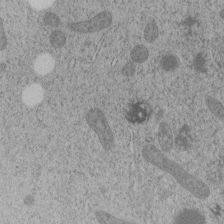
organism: C. elegans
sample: C. elegans embryo early stage